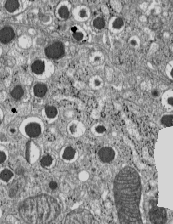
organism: C57BL Mouse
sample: Pancreatic islet